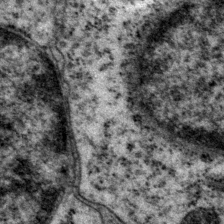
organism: P. pacificus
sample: Pharynx